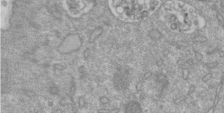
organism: Mouse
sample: ED-1 cell nuclei; centrioles